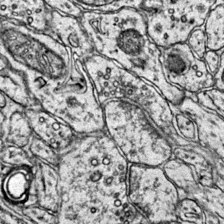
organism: Mouse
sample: Primary visual cortex